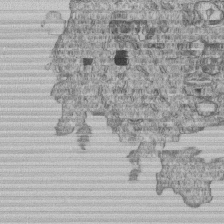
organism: Human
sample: MDA-MB-231 cells